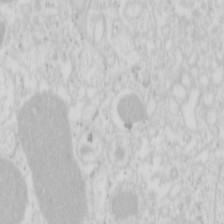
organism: Mouse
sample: Pancreas